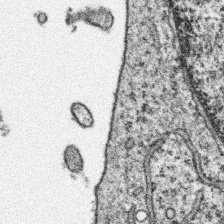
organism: Human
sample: HeLa cells